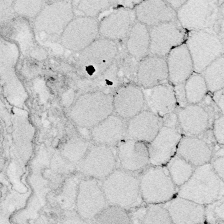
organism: Zebrafish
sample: Whole-Brain